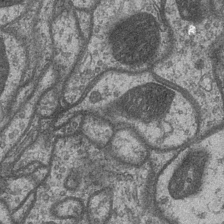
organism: Drosophila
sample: Optic medulla